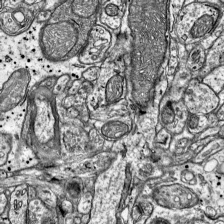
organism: Mouse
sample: Visual Cortex